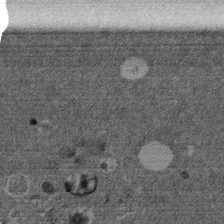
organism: Mouse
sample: Dividing mouse embryo 1 cell stage